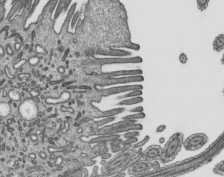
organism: Mouse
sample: Mouse epididymis efferent ductule cilia